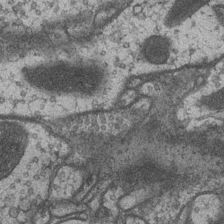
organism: Drosophila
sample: Optic medulla